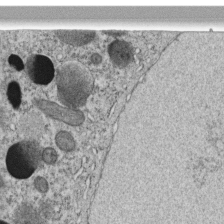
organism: C. elegans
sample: C. elegans embryo early stage